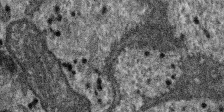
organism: Human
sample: Lung epithelial cells infected with SARS-CoV-2